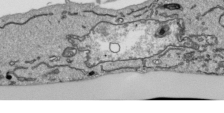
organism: Human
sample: Mitochondria in HCT116 cells